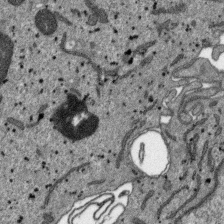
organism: Human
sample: Lung epithelial cells, uninfected (mock) control